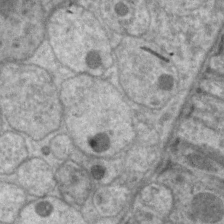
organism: C. elegans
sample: Pharynx